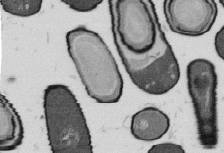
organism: B. subtilis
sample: Bacterial spore